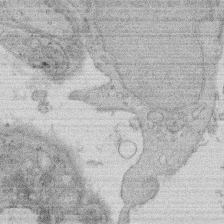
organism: Rat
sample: Salivary granule